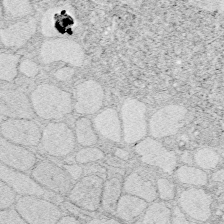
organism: Zebrafish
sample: Whole-Brain